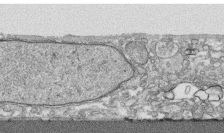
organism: Human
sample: CRL-1474